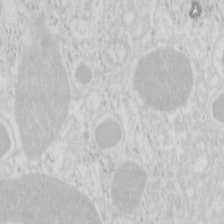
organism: Mouse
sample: Pancreas